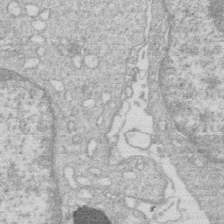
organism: Human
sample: Macrophage cells